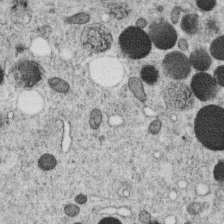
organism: C. elegans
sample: C. elegans oocyte; sperm cells